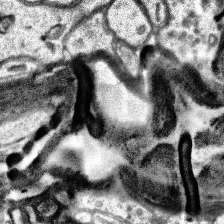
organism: Human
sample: Temporal Lobe